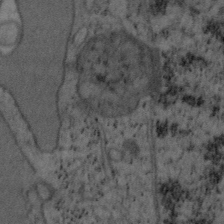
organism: Human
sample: HeLa cells